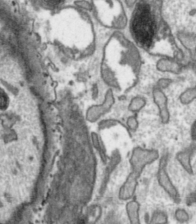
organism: Toxoplasma gondii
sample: Parasites in a vacuole inside a host cell